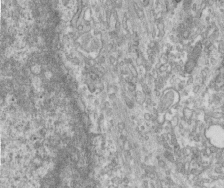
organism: Human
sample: Centriole in fibroblast cells